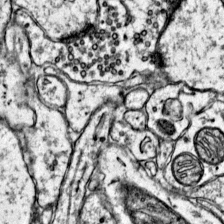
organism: Mouse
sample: Primary visual cortex